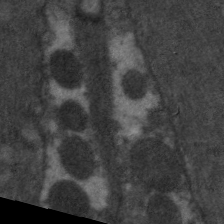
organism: C. elegans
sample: Pharynx